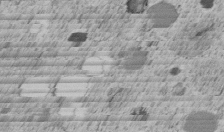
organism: C. elegans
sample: C. elegans embryo early stage